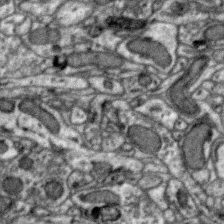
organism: Zebra finch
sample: Brain